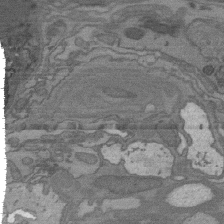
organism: C. elegans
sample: AFD neurons C. elegans